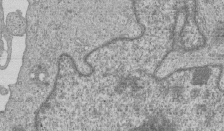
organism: Human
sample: MDA-MB-231 cells